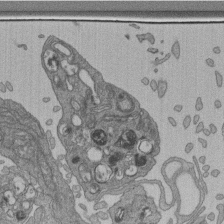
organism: Human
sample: Retinal organoid Rod and Cone cells